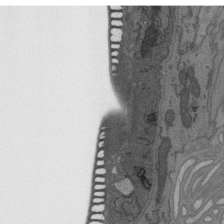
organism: C. elegans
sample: AFD neurons C. elegans